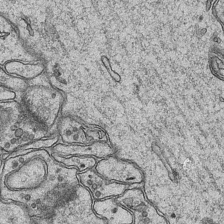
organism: Mouse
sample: CA1 Hippocampus